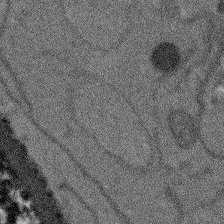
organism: Arabidopsis thaliana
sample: Root tip